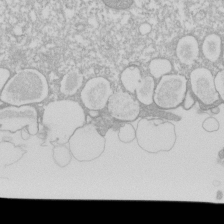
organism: Xenopus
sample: Cilia; centrioles in frog embryo cells